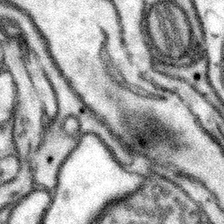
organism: Mouse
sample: Somatosensory cortex neuropil